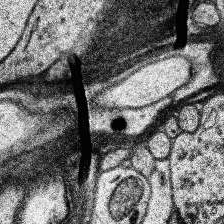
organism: Human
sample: Temporal Lobe